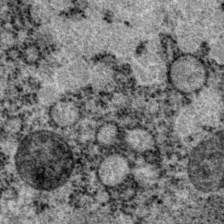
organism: P. pacificus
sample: Pharynx